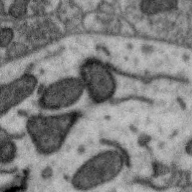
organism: Zebra finch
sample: Brain